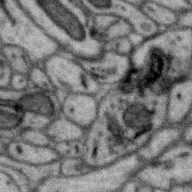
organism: Zebra finch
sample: Brain